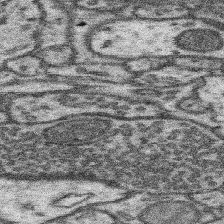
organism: Mouse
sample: Somatosensory cortex neuropil